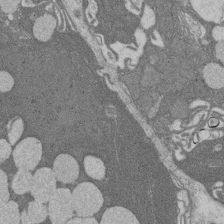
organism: Rat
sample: Salivary granule